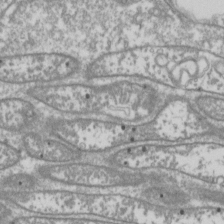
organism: Drosophila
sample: Cell division; meiosis; drosophila spermatocytes